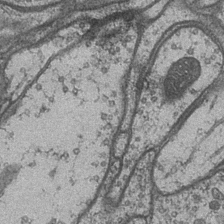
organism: Drosophila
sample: Optic medulla